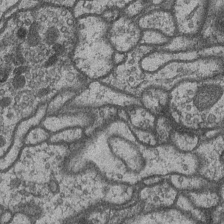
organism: Drosophila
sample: Optic medulla